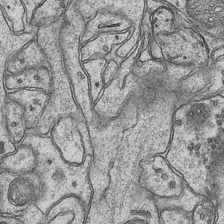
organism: Mouse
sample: CA1 Hippocampus